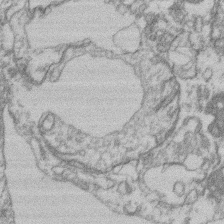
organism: Mouse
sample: T cell stromal cell synapse